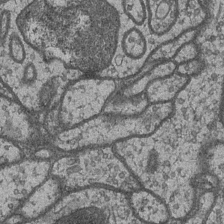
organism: Drosophila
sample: Optic medulla